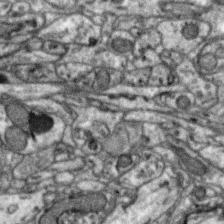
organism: Zebra finch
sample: Brain